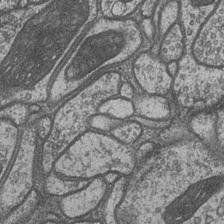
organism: Drosophila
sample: Optic medulla